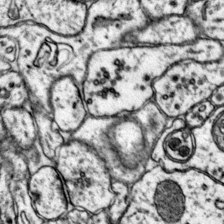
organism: Mouse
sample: Primary visual cortex